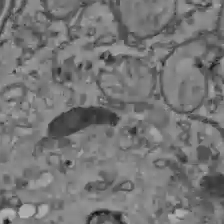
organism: C57BL Mouse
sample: Liver